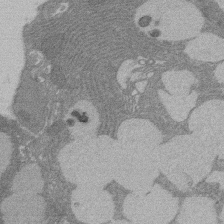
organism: Rat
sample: Salivary granule